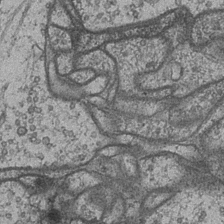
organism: Drosophila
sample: Optic medulla